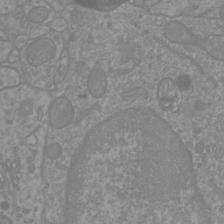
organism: Mouse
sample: Cortical neurons